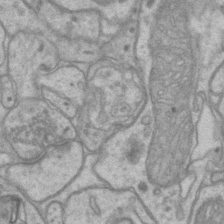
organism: Mouse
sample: CA1 Hippocampus